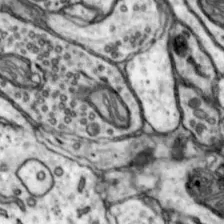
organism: Mouse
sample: Nucleus accumbens